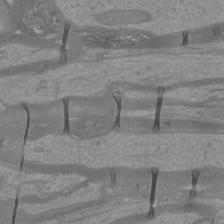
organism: Mouse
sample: Cortical neurons